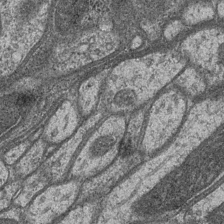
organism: Drosophila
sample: Optic medulla